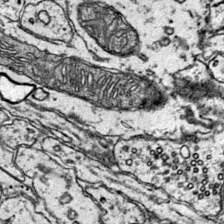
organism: Mouse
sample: Primary visual cortex